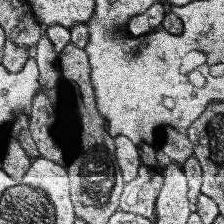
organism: Human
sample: Temporal Lobe